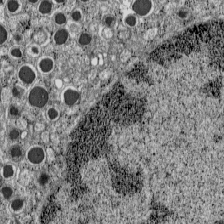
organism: C57BL Mouse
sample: Pancreatic islet